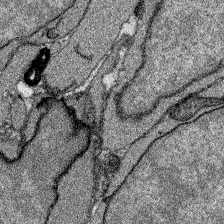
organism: Zebrafish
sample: Larval olfactory bulb